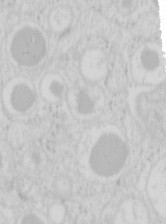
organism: Mouse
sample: Pancreas